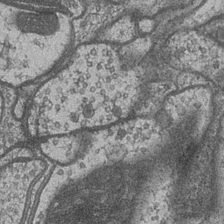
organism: Drosophila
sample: Optic medulla